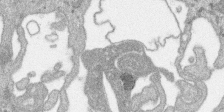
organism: Human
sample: Lung epithelial cells infected with SARS-CoV-2